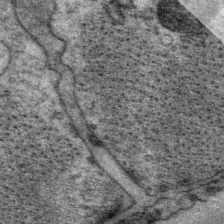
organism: P. pacificus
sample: Pharynx